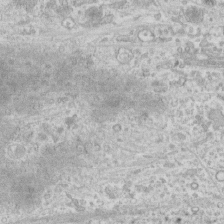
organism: Human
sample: CRL-1474